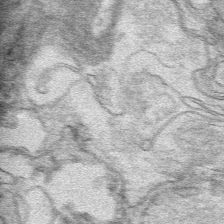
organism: Mouse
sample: Mouse hepatocytes